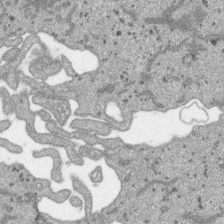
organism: Human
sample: Lung epithelial cells infected with SARS-CoV-2